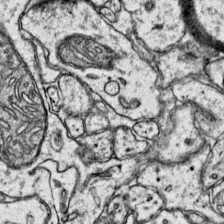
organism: Mouse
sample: Primary visual cortex